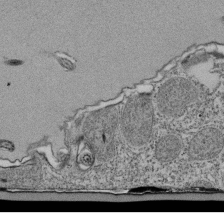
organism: Tetrahymena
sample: Cilia in tetrahymena